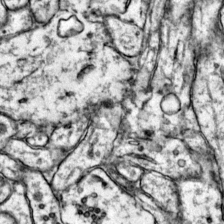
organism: Mouse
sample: Primary visual cortex